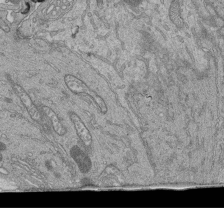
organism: Human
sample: Retinal organoid Rod and Cone cells